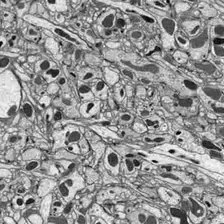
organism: Drosophila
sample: Optic lobe